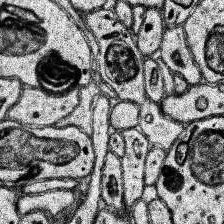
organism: Human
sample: Temporal Lobe